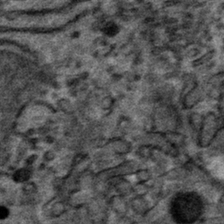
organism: Mouse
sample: Mouse hepatocytes